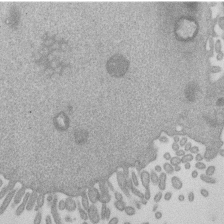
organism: Mouse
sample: Dividing mouse embryo 1 cell stage